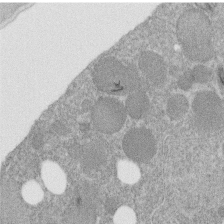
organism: C. elegans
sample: C. elegans embryo early stage